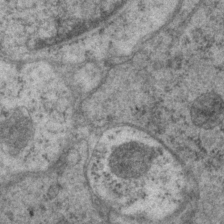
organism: P. pacificus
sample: Pharynx